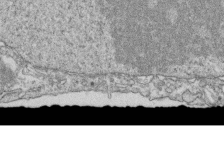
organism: Human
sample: HeLa cell HIV synapse